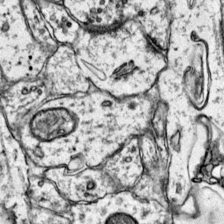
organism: Mouse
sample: Primary visual cortex